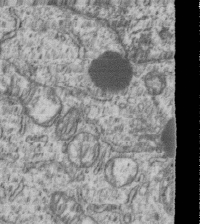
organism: Human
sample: MDA-MB-231 cells